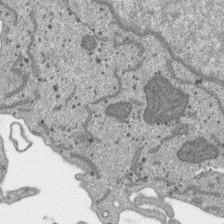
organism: Human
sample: Lung epithelial cells infected with SARS-CoV-2